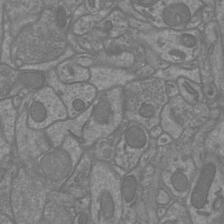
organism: Mouse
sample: Cortical neurons